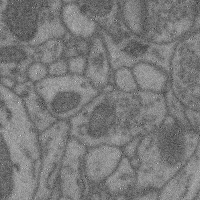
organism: Mouse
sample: Cerebral cortex